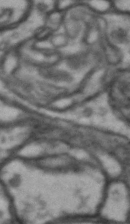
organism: Drosophila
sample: Brain